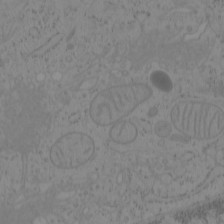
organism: Human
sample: HeLa cells